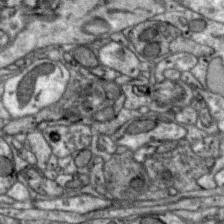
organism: Zebra finch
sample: Brain